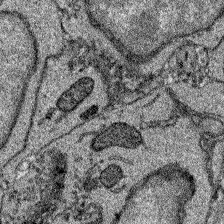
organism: Zebrafish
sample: Larval olfactory bulb